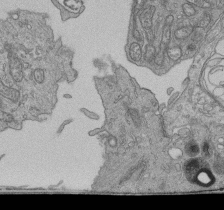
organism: Human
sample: Retinal organoid Rod and Cone cells